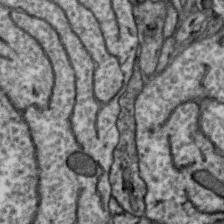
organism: Zebra finch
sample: Brain